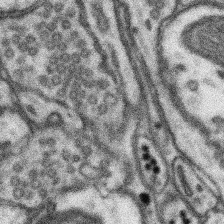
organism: Mouse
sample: Somatosensory cortex neuropil